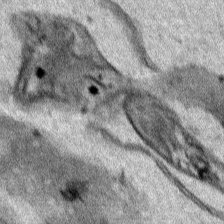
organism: Human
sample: Mitochondria in HCT116 cells